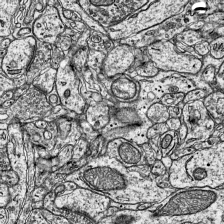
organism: Mouse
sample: Visual Cortex